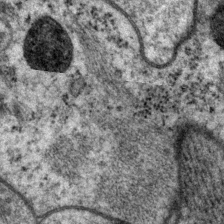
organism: P. pacificus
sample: Pharynx